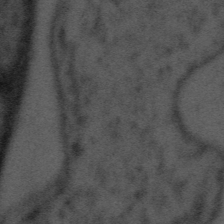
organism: Tuwongella immobilis